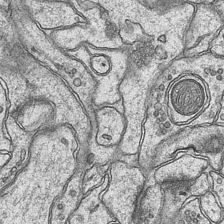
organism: Mouse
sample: CA1 Hippocampus